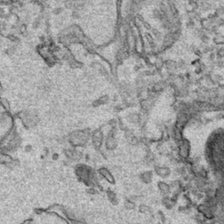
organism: Human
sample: Mitochondria in HCT116 cells